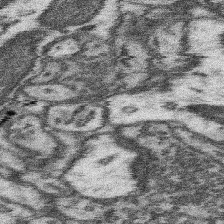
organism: Mouse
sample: Somatosensory cortex neuropil